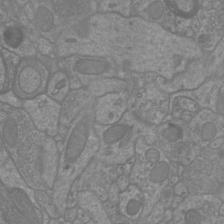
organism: Mouse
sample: Cortical neurons